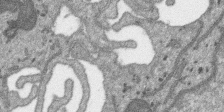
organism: Human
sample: Lung epithelial cells infected with SARS-CoV-2